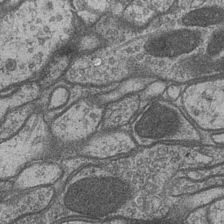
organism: Drosophila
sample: Optic medulla